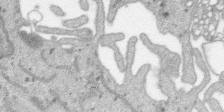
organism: Human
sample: Lung epithelial cells infected with SARS-CoV-2